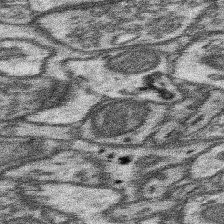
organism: Mouse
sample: Somatosensory cortex neuropil